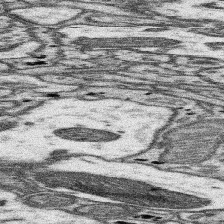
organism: Mouse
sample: Somatosensory cortex neuropil